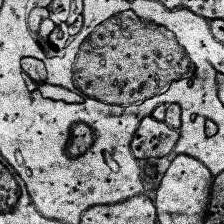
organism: Human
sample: Temporal Lobe